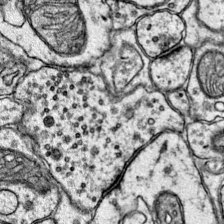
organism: Mouse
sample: Primary visual cortex